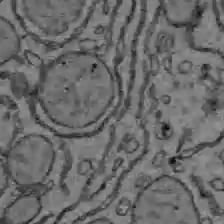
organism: C57BL Mouse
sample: Liver